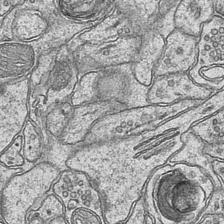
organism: Mouse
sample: CA1 Hippocampus